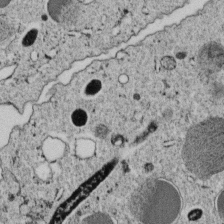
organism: C. elegans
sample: C. elegans embryo early stage